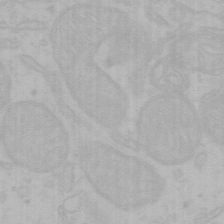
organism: Mouse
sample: Choroid plexus